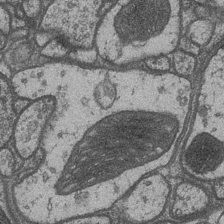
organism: Drosophila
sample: Optic medulla